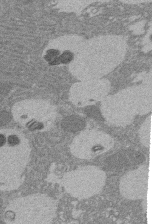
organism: Rat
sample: Salivary granule